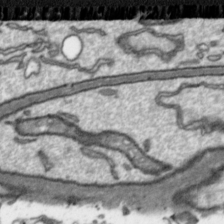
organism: Toxoplasma gondii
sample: Parasites in a vacuole inside a host cell